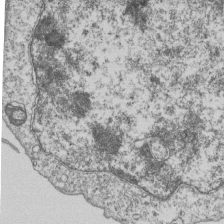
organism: Human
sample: MDA-MB-231 cells